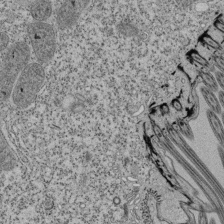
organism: Tetrahymena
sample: Cilia in tetrahymena